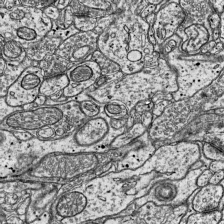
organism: Mouse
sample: Visual Cortex